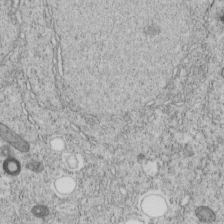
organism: C. elegans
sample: C. elegans embryo early stage